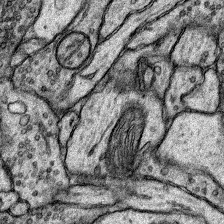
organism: Rat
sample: Hippocampus